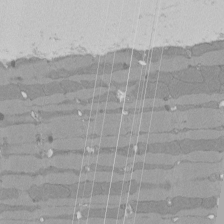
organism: Rat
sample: Left ventricle